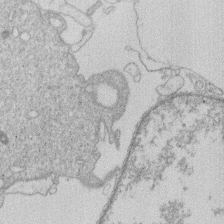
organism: Human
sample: Macrophage cells